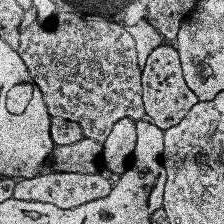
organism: Human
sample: Temporal Lobe